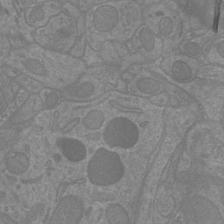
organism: Mouse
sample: Cortical neurons